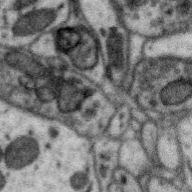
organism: Zebra finch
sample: Brain